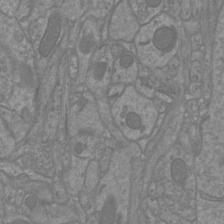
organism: Mouse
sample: Cortical neurons